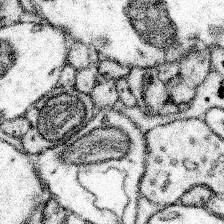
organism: Mouse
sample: Somatosensory cortex neuropil